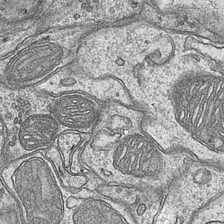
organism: Mouse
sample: CA1 Hippocampus